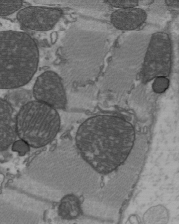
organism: C57BL Mouse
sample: Heart